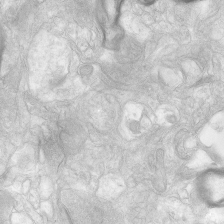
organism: Human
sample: Neocortex